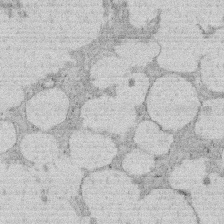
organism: Rat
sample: Salivary granule